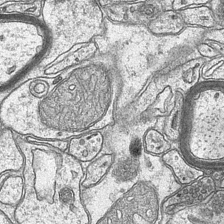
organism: Mouse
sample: CA1 Hippocampus